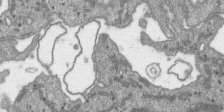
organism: Human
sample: Lung epithelial cells infected with SARS-CoV-2